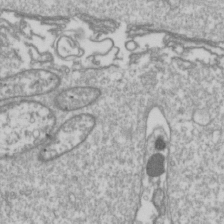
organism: Drosophila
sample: Cell division; meiosis; drosophila spermatocytes